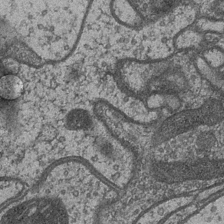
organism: Drosophila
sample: Optic medulla